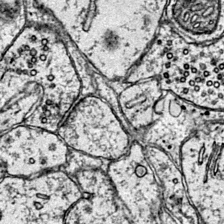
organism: Mouse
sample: Primary visual cortex